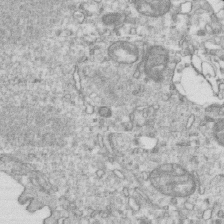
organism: Mouse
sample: Activated OT-1 CD8+ T cells